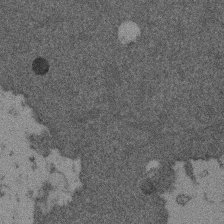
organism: Mouse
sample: Dividing mouse embryo 1 cell stage